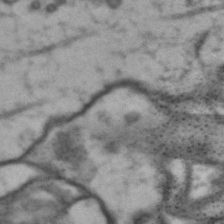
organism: Drosophila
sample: Brain